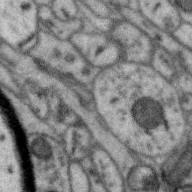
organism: Zebra finch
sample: Brain